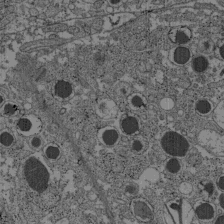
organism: C57BL Mouse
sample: Pancreatic islet